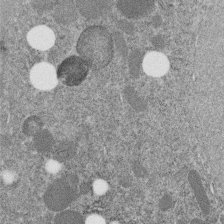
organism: C. elegans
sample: C. elegans embryo early stage